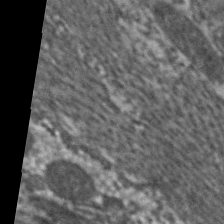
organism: C. elegans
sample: Pharynx